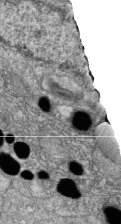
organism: Zebrafish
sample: Cilia; retinal pigment epithelium